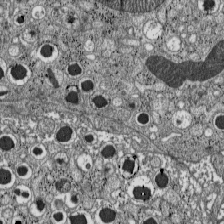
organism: C57BL Mouse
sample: Pancreatic islet